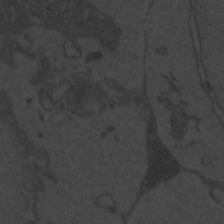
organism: Zebrafish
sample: Macrophage infected with Toxoplasma gondii